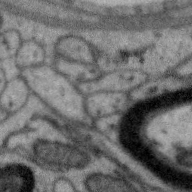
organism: Zebra finch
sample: Brain